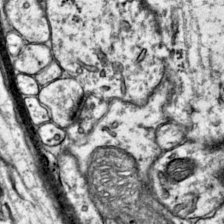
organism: Mouse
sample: Primary visual cortex